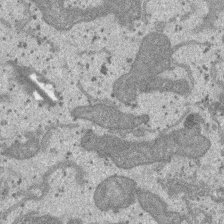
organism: Human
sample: Lung epithelial cells infected with SARS-CoV-2